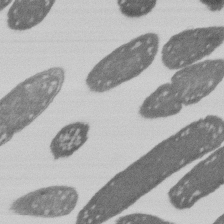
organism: E. coli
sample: Bacterial nucleoid